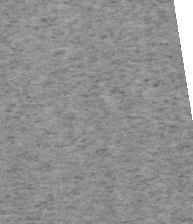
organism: Mouse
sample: OT-I killer T cells with ID8 ovarian cancer cells